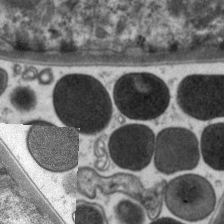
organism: C. elegans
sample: Pharynx